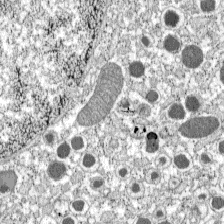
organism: C57BL Mouse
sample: Pancreatic islet